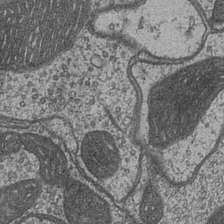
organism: Drosophila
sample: Optic medulla